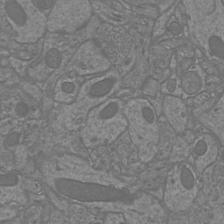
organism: Mouse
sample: Cortical neurons